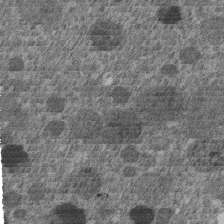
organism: C. elegans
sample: C. elegans embryo early stage